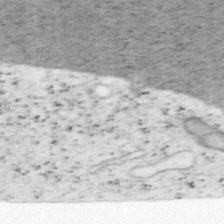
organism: Mouse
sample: OT-I killer T cells with ID8 ovarian cancer cells